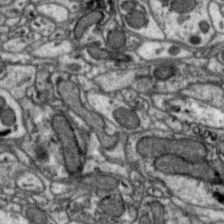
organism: Zebra finch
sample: Brain